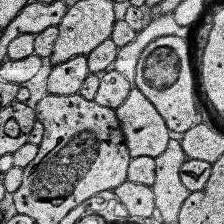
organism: Human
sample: Temporal Lobe